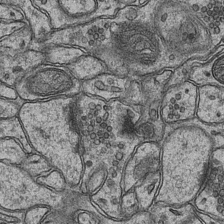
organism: Mouse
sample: CA1 Hippocampus